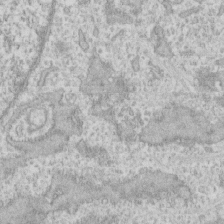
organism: Human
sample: CRL-1474